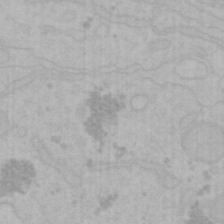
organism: Mouse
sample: Choroid plexus